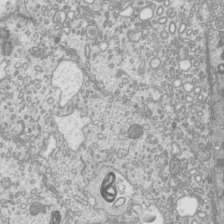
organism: Mouse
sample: Cilia; mouse epididymis